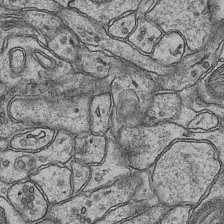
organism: Mouse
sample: CA1 Hippocampus